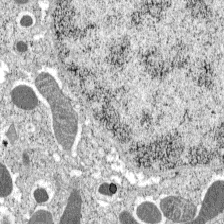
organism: C57BL Mouse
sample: Pancreatic islet